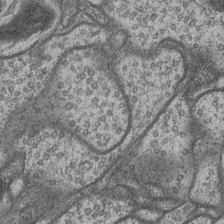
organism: Drosophila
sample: Optic medulla